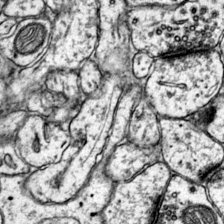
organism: Mouse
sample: Primary visual cortex